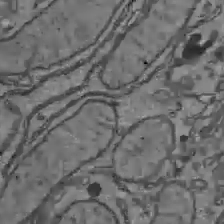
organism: C57BL Mouse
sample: Liver